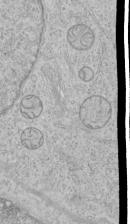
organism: Human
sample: Mitochondria in HCT116 cells